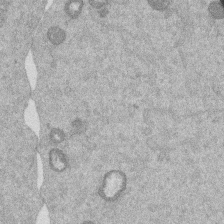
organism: Mouse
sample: Dividing mouse embryo 1 cell stage